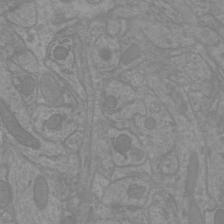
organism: Mouse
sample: Cortical neurons